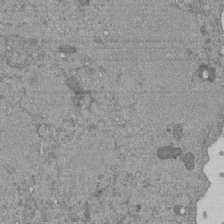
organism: Mouse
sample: ED-1 cell nuclei; centrioles